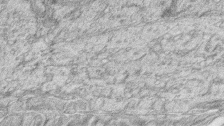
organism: Zebrafish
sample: synaptic ribbons in rod cells and cone cells